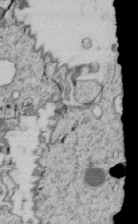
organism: C. elegans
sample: C. elegans embryo early stage